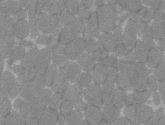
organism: C57BL Mouse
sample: Tibialis anterior muscle cell